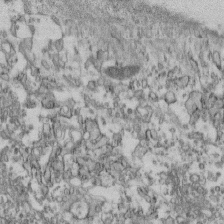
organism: Mouse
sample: Cilia; retinal pigment epithelium